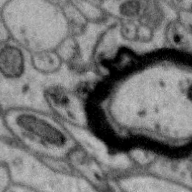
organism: Zebra finch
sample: Brain